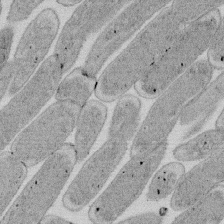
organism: E. coli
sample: Bacterial nucleoid